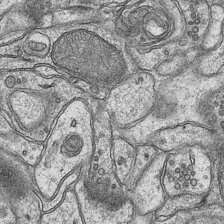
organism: Mouse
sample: CA1 Hippocampus